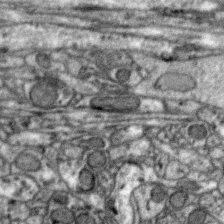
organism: Zebra finch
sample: Brain